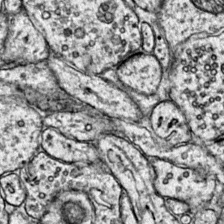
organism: Mouse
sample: Primary visual cortex